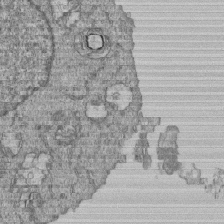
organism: Human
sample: MDA-MB-231 cells